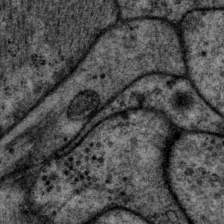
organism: P. pacificus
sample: Pharynx